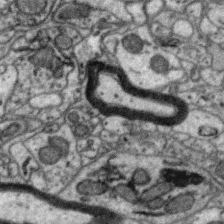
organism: Zebra finch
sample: Brain